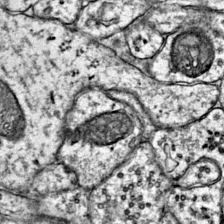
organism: Mouse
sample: Primary visual cortex